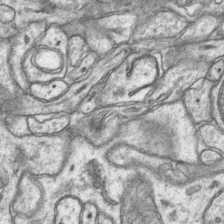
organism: Mouse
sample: CA1 Hippocampus